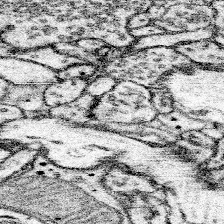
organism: Mouse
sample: Somatosensory cortex neuropil